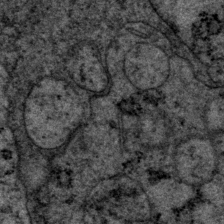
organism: P. pacificus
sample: Pharynx